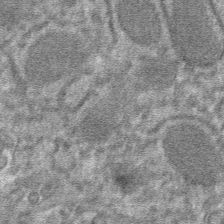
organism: Mouse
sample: Mouse hepatocytes